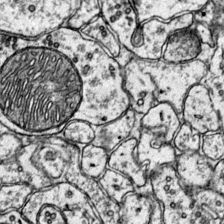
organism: Mouse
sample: Primary visual cortex